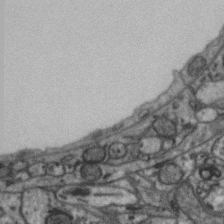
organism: Zebra finch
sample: Brain